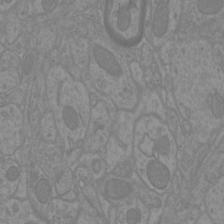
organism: Mouse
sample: Cortical neurons